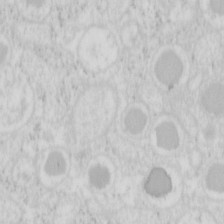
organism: Mouse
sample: Pancreas